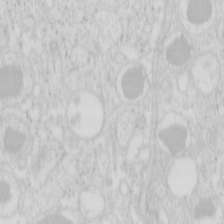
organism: Mouse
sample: Pancreas